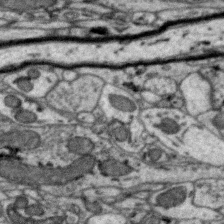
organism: Zebra finch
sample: Brain